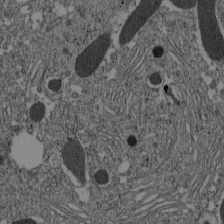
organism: C57BL Mouse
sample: Pancreatic islet